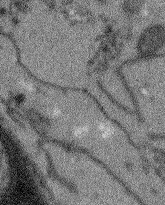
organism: Arabidopsis thaliana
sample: Root tip